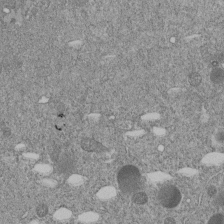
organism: C. elegans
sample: C. elegans embryo early stage